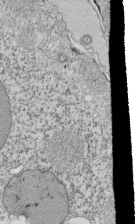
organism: Tetrahymena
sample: Cilia in tetrahymena